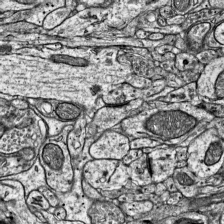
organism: Mouse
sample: Visual Cortex